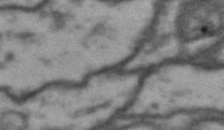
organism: Drosophila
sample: Brain